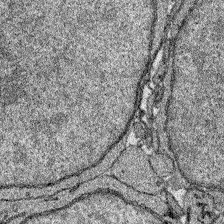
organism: Zebrafish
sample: Larval olfactory bulb